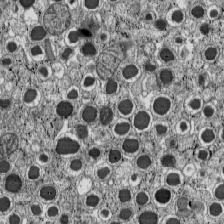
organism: C57BL Mouse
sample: Pancreatic islet